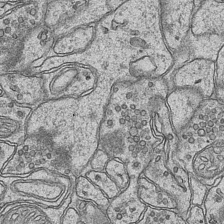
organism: Mouse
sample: CA1 Hippocampus